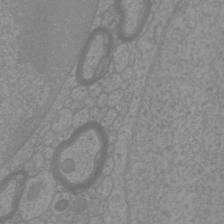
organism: Mouse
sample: Cortical neurons